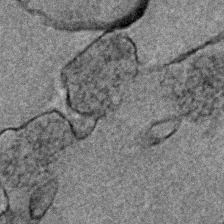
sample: Trachea